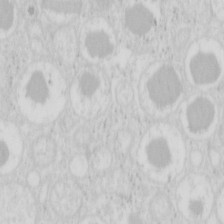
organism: Mouse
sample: Pancreas